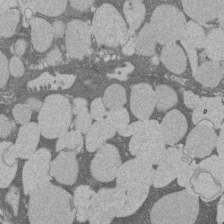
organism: Rat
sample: Salivary granule